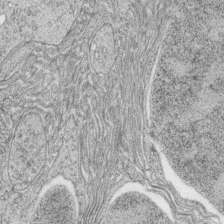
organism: Zebrafish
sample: synaptic ribbons in rod cells and cone cells